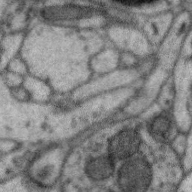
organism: Zebra finch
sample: Brain